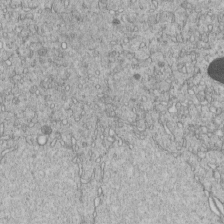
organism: C. elegans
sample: C. elegans embryo early stage